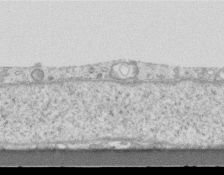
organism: Mouse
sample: Centriole in ependymal cells